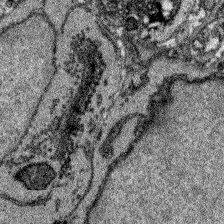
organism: Zebrafish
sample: Larval olfactory bulb